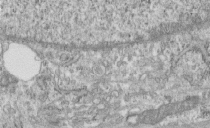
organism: Human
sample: Centriole in fibroblast cells